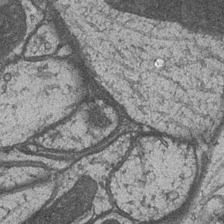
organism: Drosophila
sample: Optic medulla